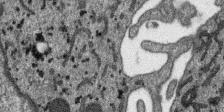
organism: Human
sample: Lung epithelial cells infected with SARS-CoV-2